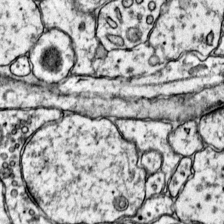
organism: Mouse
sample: Primary visual cortex